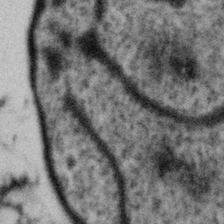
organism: Gemmata obscuriglobus